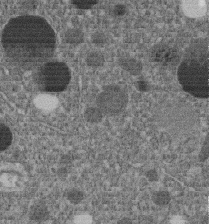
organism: C. elegans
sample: C. elegans embryo early stage